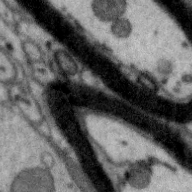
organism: Zebra finch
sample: Brain